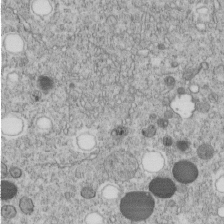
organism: C. elegans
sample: C. elegans embryo early stage